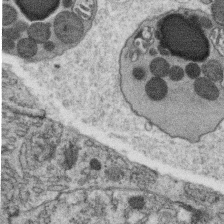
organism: C. elegans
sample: C. elegans oocyte; sperm cells